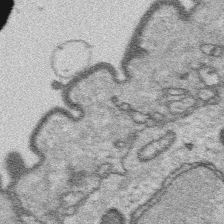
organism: Platynereis dumerilii